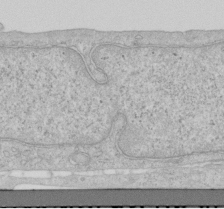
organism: Human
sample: Centriole in RPE cells